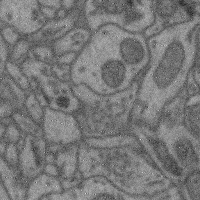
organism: Mouse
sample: Cerebral cortex